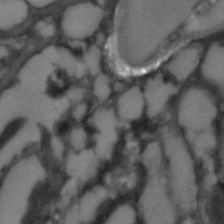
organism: C. elegans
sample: C. elegans embryo